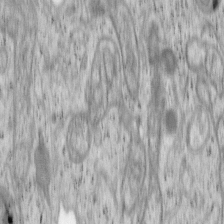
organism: Human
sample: HeLa cells